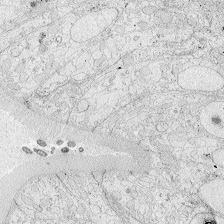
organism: Zebrafish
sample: Whole-Brain